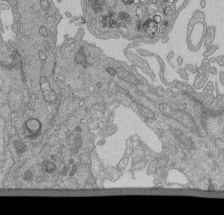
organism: Human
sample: Retinal organoid Rod and Cone cells